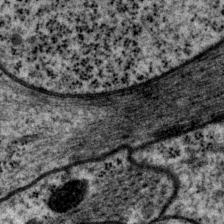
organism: P. pacificus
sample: Pharynx